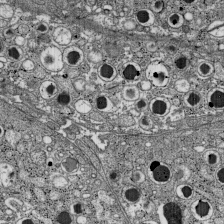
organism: C57BL Mouse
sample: Pancreatic islet